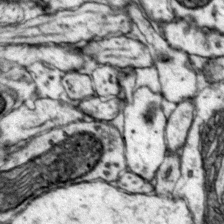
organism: Mouse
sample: Primary visual cortex